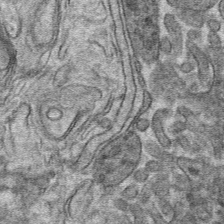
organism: Mouse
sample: Mouse hepatocytes